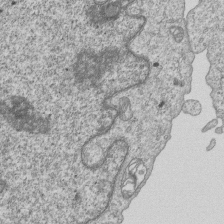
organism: Human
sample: MDA-MB-231 cells